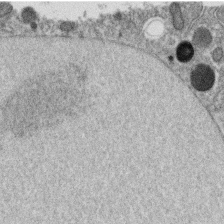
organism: C. elegans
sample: C. elegans oocyte; sperm cells